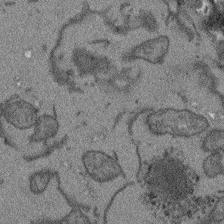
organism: Arabidopsis thaliana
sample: Root tip